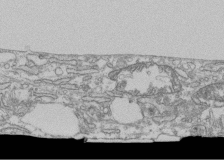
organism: Human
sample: Fibroblast cells